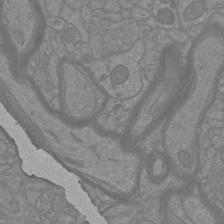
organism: Mouse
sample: Cortical neurons